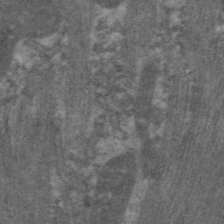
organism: C. elegans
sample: Pharynx